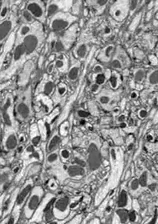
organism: Drosophila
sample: Optic lobe